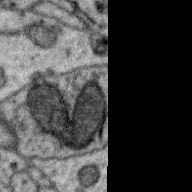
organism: Zebra finch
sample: Brain